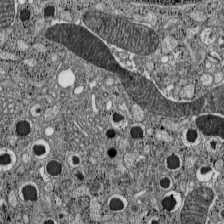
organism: C57BL Mouse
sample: Pancreatic islet